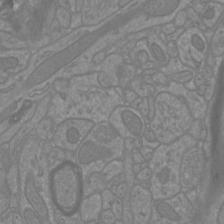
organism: Mouse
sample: Cortical neurons